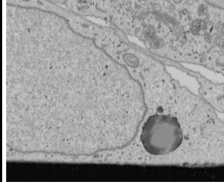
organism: Human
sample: Mitochondria in U2OS cells